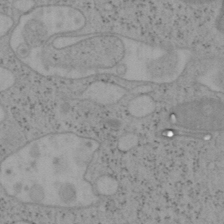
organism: Mouse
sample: OT-I killer T cells with ID8 ovarian cancer cells